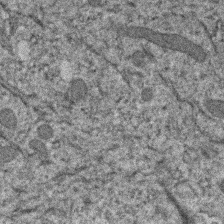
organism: Human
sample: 1205lu cells